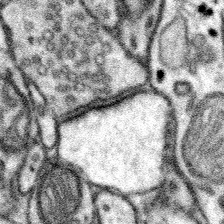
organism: Mouse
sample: Somatosensory cortex neuropil